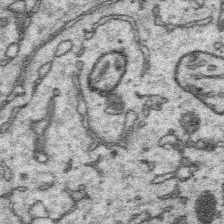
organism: Platynereis dumerilii